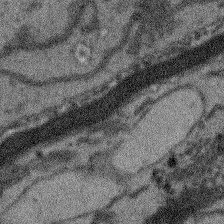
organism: Arabidopsis thaliana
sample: Root tip